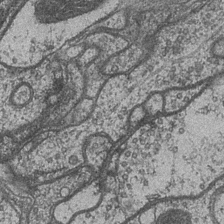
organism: Drosophila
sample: Optic medulla